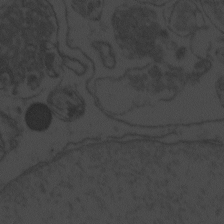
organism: Zebrafish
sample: Macrophage infected with Toxoplasma gondii